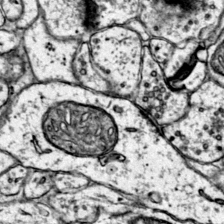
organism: Mouse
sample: Primary visual cortex